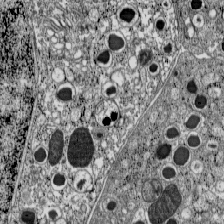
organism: C57BL Mouse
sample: Pancreatic islet